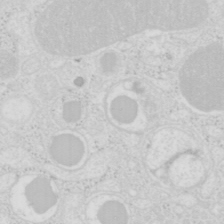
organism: Mouse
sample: Pancreas